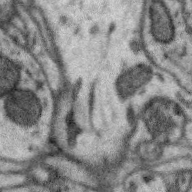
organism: Zebra finch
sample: Brain